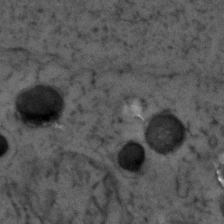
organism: Zebrafish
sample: Zebrafish embryo